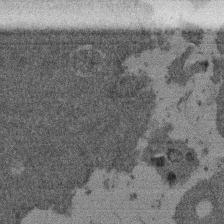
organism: Mouse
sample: Dividing mouse embryo 1 cell stage